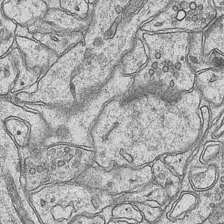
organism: Mouse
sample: CA1 Hippocampus